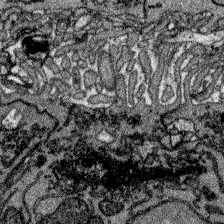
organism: Zebrafish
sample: Larval olfactory bulb